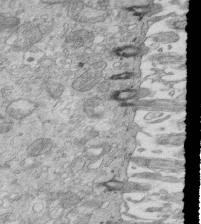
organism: Mouse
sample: Multiciliated cells